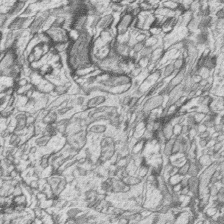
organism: Zebrafish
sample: synaptic ribbons in rod cells and cone cells